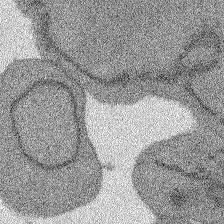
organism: Human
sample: HeLa cells